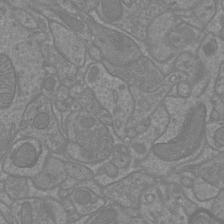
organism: Mouse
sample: Cortical neurons